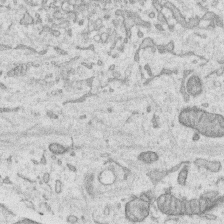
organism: Human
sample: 1205lu cells